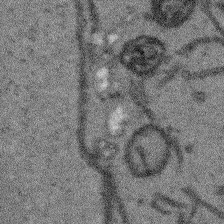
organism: Arabidopsis thaliana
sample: Root tip